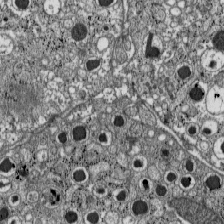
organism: C57BL Mouse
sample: Pancreatic islet